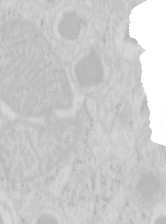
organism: Mouse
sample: Pancreas